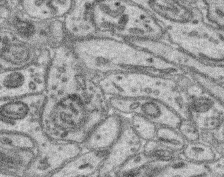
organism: Mouse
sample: Retina